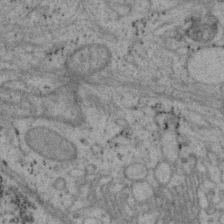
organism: Human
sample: HeLa cells